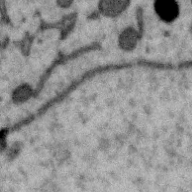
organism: Zebra finch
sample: Brain